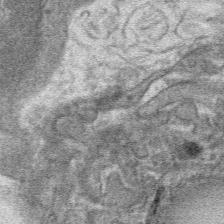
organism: Mouse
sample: Mouse hepatocytes